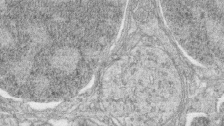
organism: Zebrafish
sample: synaptic ribbons in rod cells and cone cells